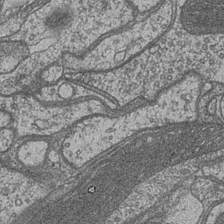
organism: Drosophila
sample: Optic medulla